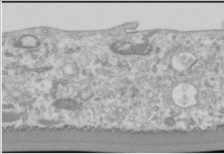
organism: Human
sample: Cilia; basal body in RPE cells